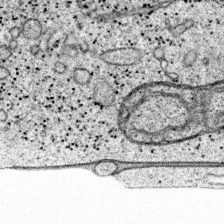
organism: Human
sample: HeLa cells